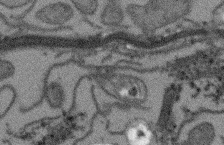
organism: Arabidopsis thaliana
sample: Root tip